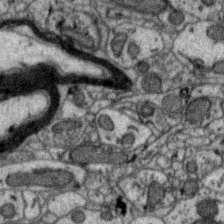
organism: Zebra finch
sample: Brain